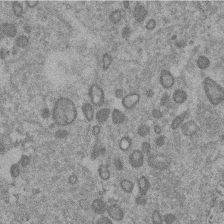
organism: Mouse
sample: Dividing mouse embryo 1 cell stage